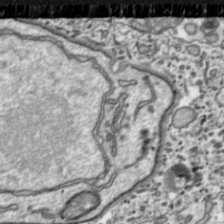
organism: Toxoplasma gondii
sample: Parasites in a vacuole inside a host cell